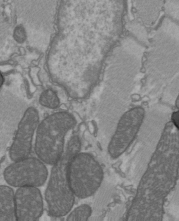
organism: C57BL Mouse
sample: Heart